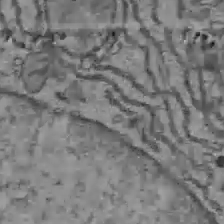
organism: C57BL Mouse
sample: Liver